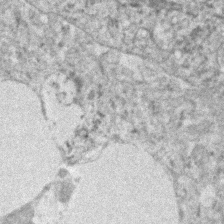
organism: Human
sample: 1205lu cells